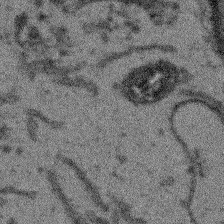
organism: Arabidopsis thaliana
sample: Root tip